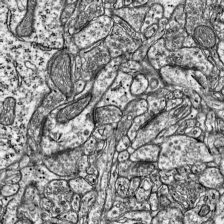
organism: Mouse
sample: Visual Cortex